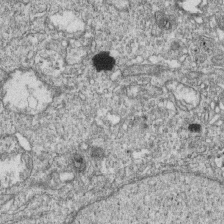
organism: Human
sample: HeLa cell HIV synapse